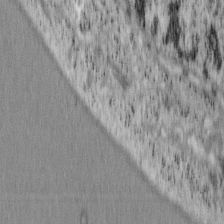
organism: Human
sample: HeLa cells